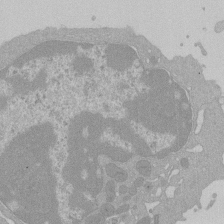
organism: Mouse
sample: Activated Pmel transgenic CD8+ T Cells